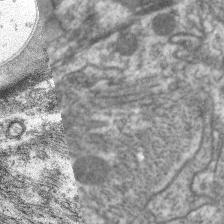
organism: C. elegans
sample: Pharynx